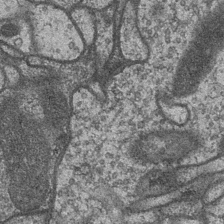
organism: Drosophila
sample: Optic medulla